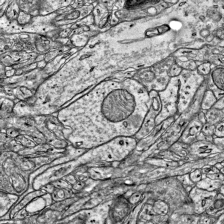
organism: Mouse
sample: Visual Cortex